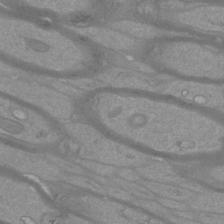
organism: Mouse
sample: Cortical neurons